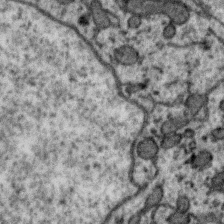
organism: Zebra finch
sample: Brain